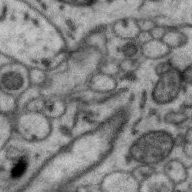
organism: Zebra finch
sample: Brain